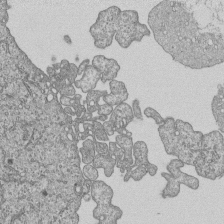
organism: Human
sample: MDA-MB-231 cells